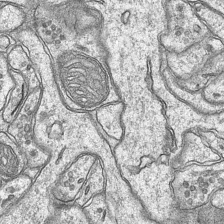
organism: Mouse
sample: CA1 Hippocampus